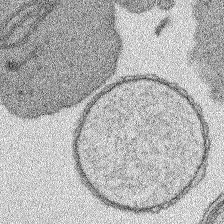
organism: Human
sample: HeLa cells